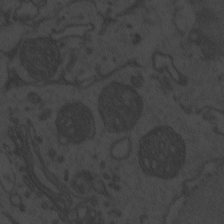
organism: Zebrafish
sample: Macrophage infected with Toxoplasma gondii